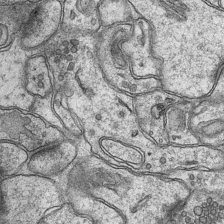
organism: Mouse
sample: CA1 Hippocampus